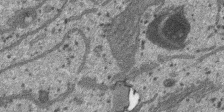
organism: Human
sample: Lung epithelial cells infected with SARS-CoV-2